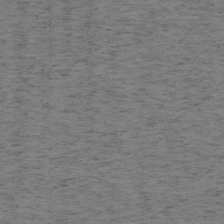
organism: Mouse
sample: OT-I killer T cells with ID8 ovarian cancer cells